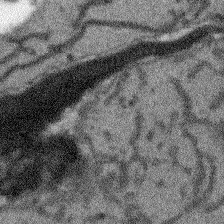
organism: Arabidopsis thaliana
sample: Root tip